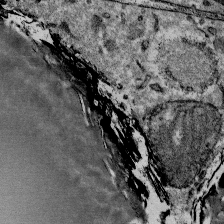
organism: Mouse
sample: Mouse Salivary gland